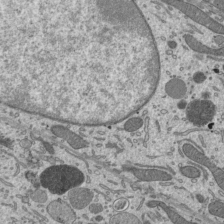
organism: Mouse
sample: Mouse epididymis efferent ductule cilia